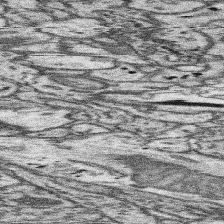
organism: Mouse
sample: Somatosensory cortex neuropil